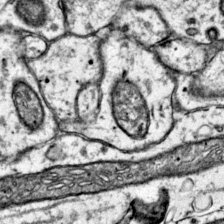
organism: Mouse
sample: Primary visual cortex